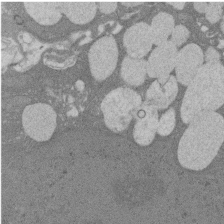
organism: Rat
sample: Salivary granule